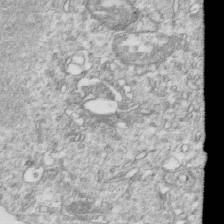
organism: Mouse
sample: Activated OT-1 CD8+ T cells